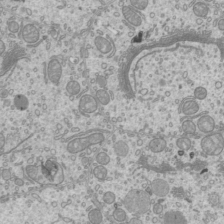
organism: Mouse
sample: Cilia; mouse epididymis